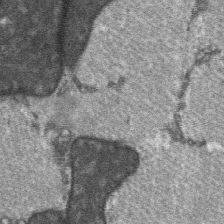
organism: C57BL Mouse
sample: Soleus